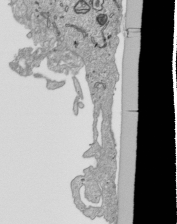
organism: Human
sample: Mitochondria in HCT116 cells